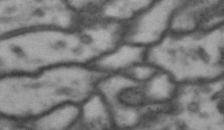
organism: Drosophila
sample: Brain